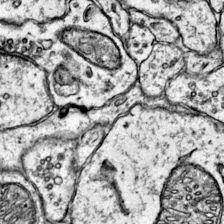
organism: Mouse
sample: Primary visual cortex